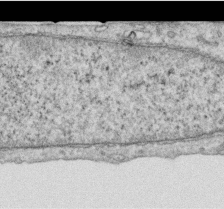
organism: Human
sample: Centriole in RPE cells